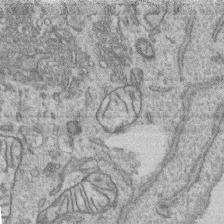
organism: Human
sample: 1205lu cells